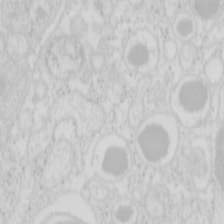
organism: Mouse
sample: Pancreas